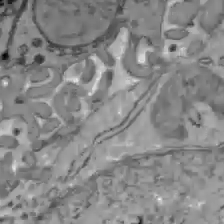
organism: C57BL Mouse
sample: Liver